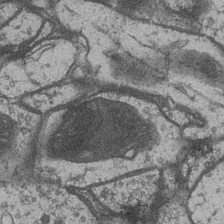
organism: Drosophila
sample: Optic medulla